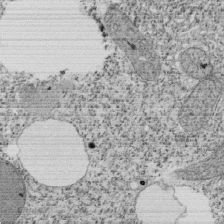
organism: Tetrahymena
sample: Cilia in tetrahymena